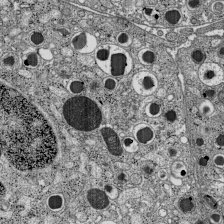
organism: C57BL Mouse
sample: Pancreatic islet